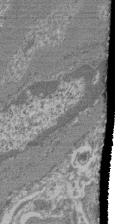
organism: Mouse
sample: Glomerulus